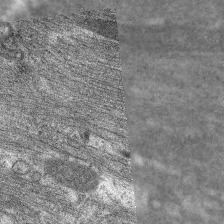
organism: C. elegans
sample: Pharynx